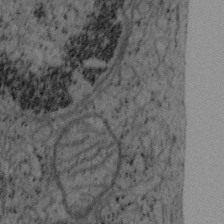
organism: Human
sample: HeLa cells